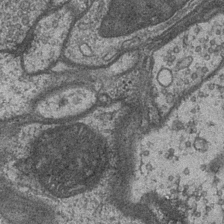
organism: Drosophila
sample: Optic medulla